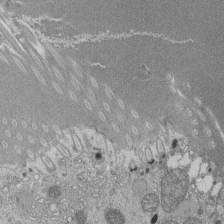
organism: Tetrahymena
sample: Cilia in tetrahymena